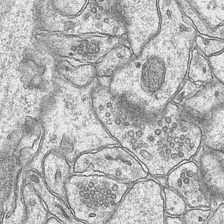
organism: Mouse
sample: CA1 Hippocampus